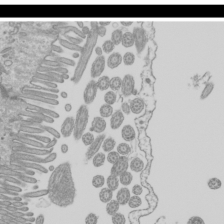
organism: Mouse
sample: Cilia; mouse epididymis